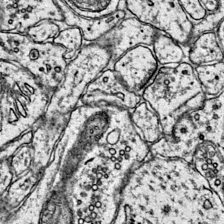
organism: Mouse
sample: Primary visual cortex